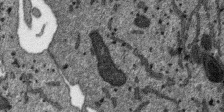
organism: Human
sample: Lung epithelial cells infected with SARS-CoV-2